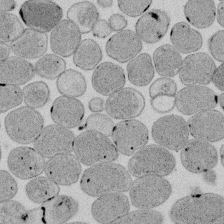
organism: E. coli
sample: Bacterial nucleoid